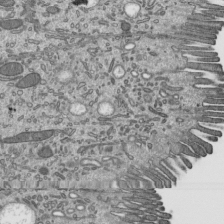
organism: Mouse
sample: Mouse epididymis efferent ductule cilia